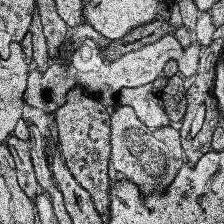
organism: Human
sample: Temporal Lobe